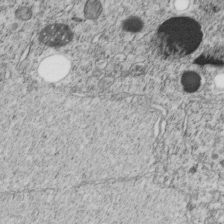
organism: C. elegans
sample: C. elegans embryo early stage